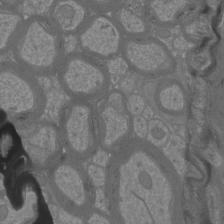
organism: Mouse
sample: Cortical neurons